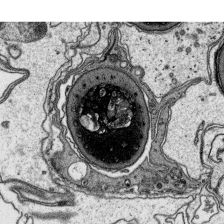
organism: Platynereis dumerilii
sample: Parapodia